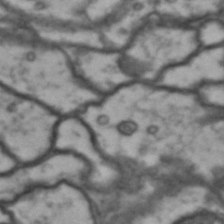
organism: Drosophila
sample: Brain